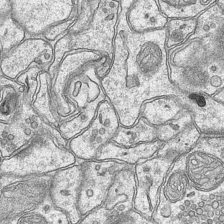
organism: Mouse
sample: CA1 Hippocampus